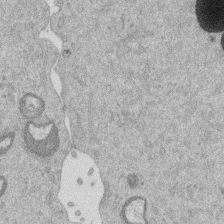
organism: Mouse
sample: Dividing mouse embryo 1 cell stage